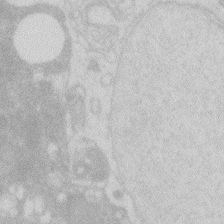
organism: Zebrafish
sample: Macrophage